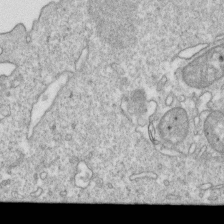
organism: Mouse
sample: Activated OT-1 CD8+ T cells